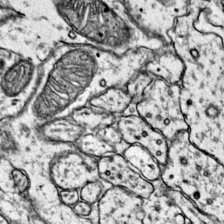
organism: Mouse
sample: Primary visual cortex